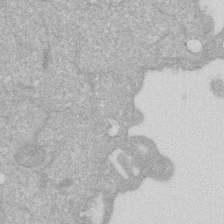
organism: Human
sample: HIV infected U937 cells